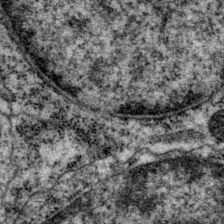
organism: P. pacificus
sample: Pharynx